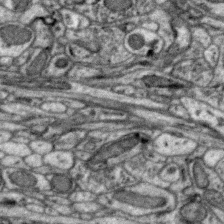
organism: Zebra finch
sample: Brain